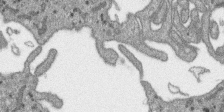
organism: Human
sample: Lung epithelial cells infected with SARS-CoV-2